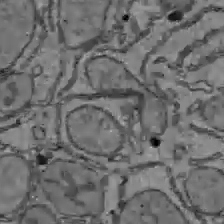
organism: C57BL Mouse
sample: Liver